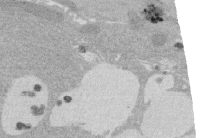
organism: Rat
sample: Salivary granule